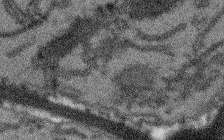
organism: Arabidopsis thaliana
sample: Root tip